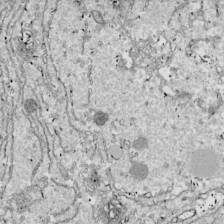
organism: Drosophila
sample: Cell division; meiosis; drosophila spermatocytes